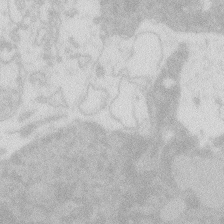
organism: Zebrafish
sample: Macrophage